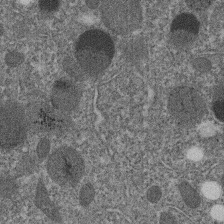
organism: C. elegans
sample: C. elegans embryo early stage